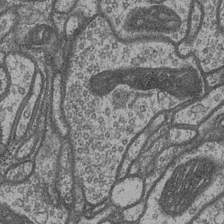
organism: Drosophila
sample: Optic medulla